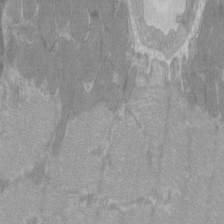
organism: C57BL Mouse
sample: Tibialis anterior muscle cell